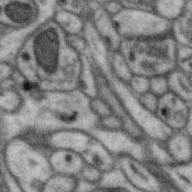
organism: Zebra finch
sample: Brain